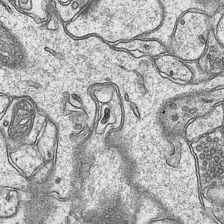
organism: Mouse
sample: CA1 Hippocampus